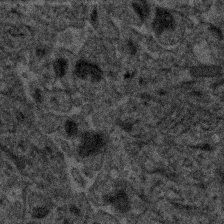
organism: Human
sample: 1205lu cells